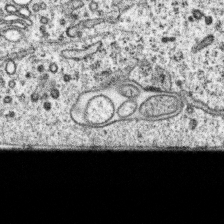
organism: Human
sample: HeLa cells